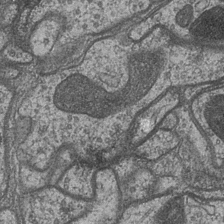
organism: Drosophila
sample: Optic medulla